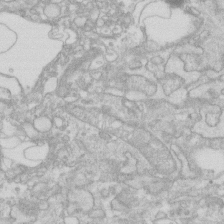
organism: Human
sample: Fibroblast cells